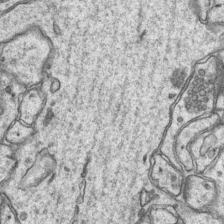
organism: Mouse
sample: CA1 Hippocampus